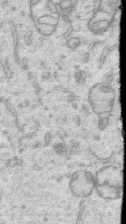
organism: Human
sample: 1205lu cells